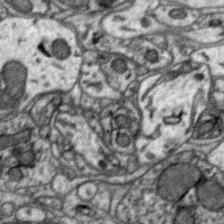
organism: Zebra finch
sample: Brain